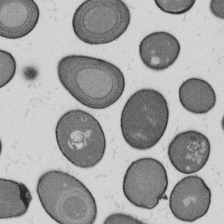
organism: B. subtilis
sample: Bacterial spore